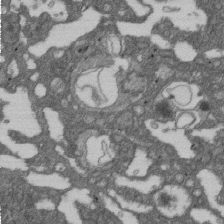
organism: Drosophila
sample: Nephrocyte